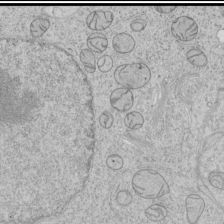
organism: Human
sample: Mitochondria in HCT116 cells